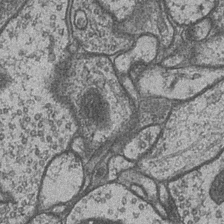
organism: Drosophila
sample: Optic medulla